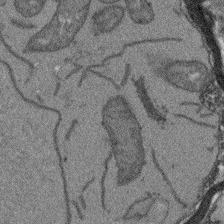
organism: Arabidopsis thaliana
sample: Root tip